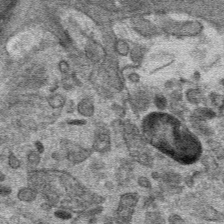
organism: Mouse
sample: Mouse hepatocytes